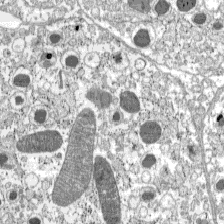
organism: C57BL Mouse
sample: Pancreatic islet